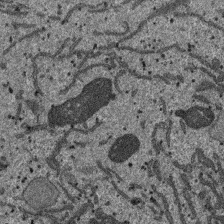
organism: Human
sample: Lung epithelial cells infected with SARS-CoV-2